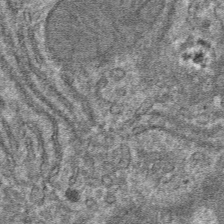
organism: Mouse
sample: Mouse hepatocytes